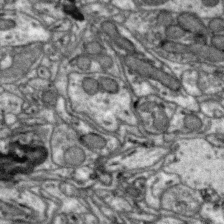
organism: Zebra finch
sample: Brain